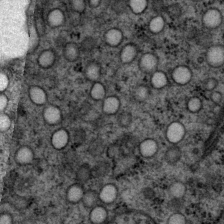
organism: P. pacificus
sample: Pharynx